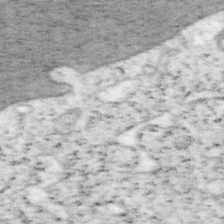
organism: Mouse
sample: OT-I killer T cells with ID8 ovarian cancer cells